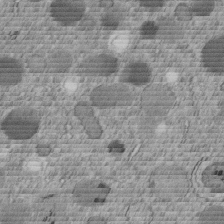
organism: C. elegans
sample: C. elegans embryo early stage